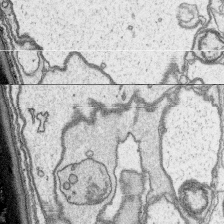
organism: Platynereis dumerilii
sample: Parapodia